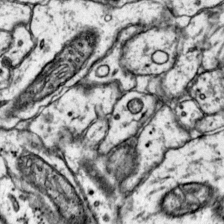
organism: Mouse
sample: Primary visual cortex